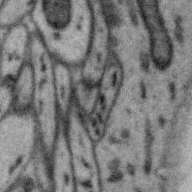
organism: Zebra finch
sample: Brain